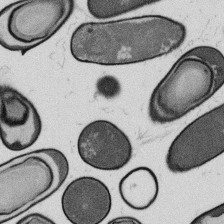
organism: B. subtilis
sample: Bacterial spore